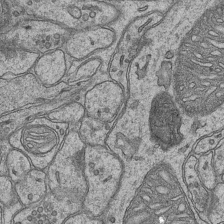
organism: Mouse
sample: CA1 Hippocampus